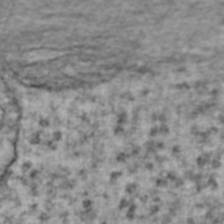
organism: Human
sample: Blood